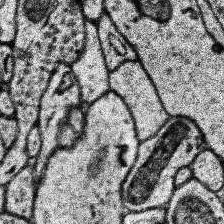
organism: Human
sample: Temporal Lobe